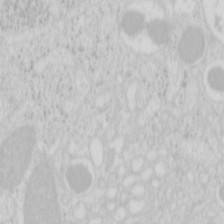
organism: Mouse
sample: Pancreas